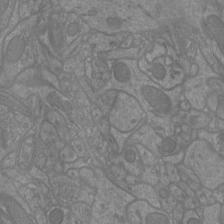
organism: Mouse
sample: Cortical neurons